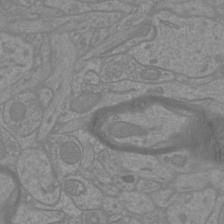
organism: Mouse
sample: Cortical neurons